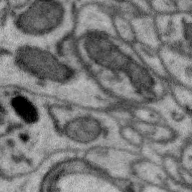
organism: Zebra finch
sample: Brain